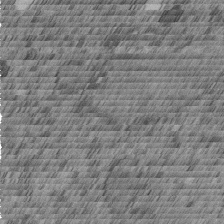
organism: C. elegans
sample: C. elegans embryo early stage